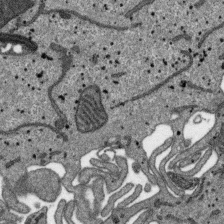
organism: Human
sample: Lung epithelial cells, uninfected (mock) control